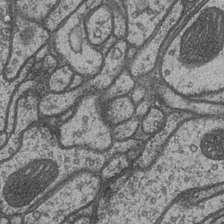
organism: Drosophila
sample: Optic medulla